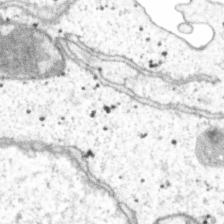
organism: Human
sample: HeLa cells